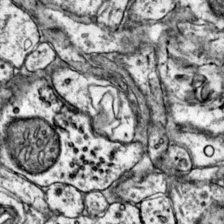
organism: Mouse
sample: Primary visual cortex